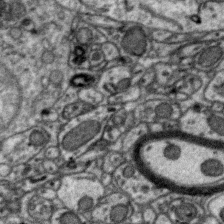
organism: Zebra finch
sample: Brain